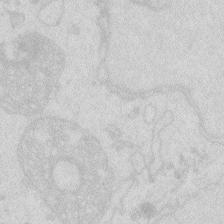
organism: Zebrafish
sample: Macrophage